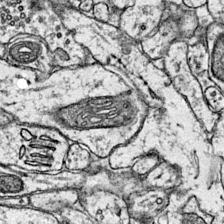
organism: Mouse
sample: Primary visual cortex